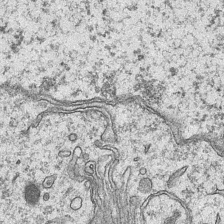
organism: Mouse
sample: CA1 Hippocampus